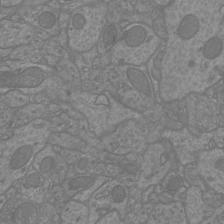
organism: Mouse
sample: Cortical neurons